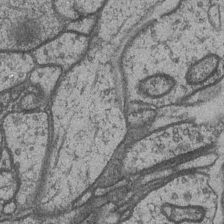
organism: Drosophila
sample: Optic medulla